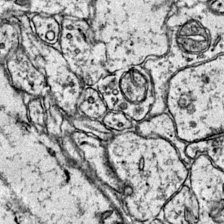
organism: Mouse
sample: Primary visual cortex